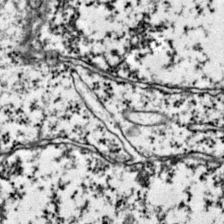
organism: Mouse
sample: Primary visual cortex